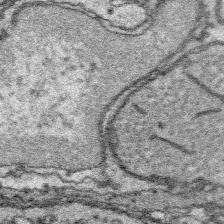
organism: Platynereis dumerilii